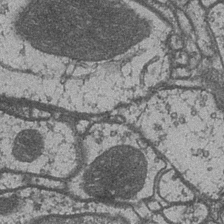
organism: Drosophila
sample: Optic medulla